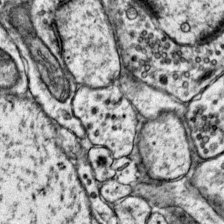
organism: Mouse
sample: Primary visual cortex